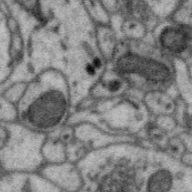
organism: Zebra finch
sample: Brain